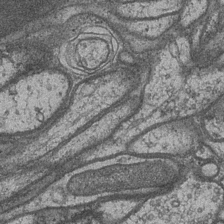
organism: Drosophila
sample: Optic medulla